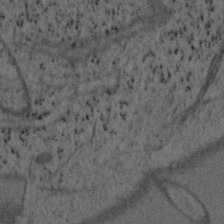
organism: Human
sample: HeLa cells